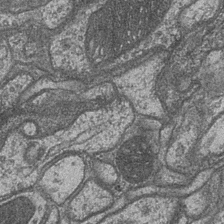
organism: Drosophila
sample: Optic medulla